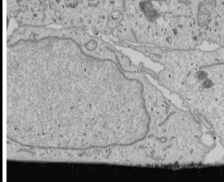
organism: Human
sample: Mitochondria in U2OS cells